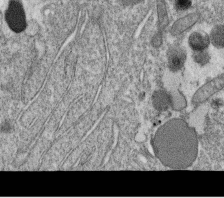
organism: C. elegans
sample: C. elegans oocyte; sperm cells